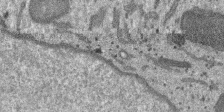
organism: Human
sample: Lung epithelial cells infected with SARS-CoV-2